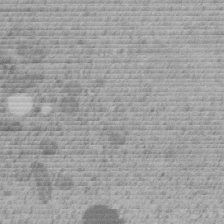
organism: C. elegans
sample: C. elegans embryo early stage